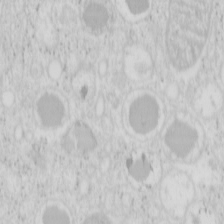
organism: Mouse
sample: Pancreas